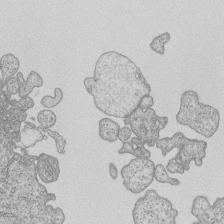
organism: Human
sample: MDA-MB-231 cells